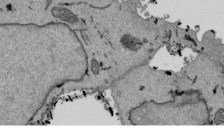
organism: Mouse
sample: ED-1 cell nuclei; centrioles